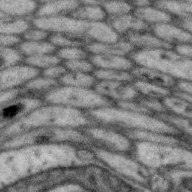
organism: Zebra finch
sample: Brain